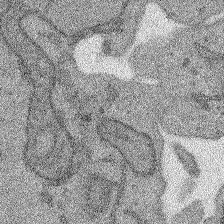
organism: Human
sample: HeLa cells